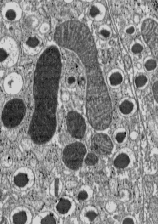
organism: C57BL Mouse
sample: Pancreatic islet